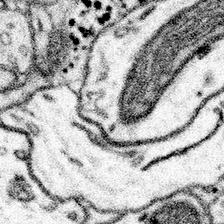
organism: Mouse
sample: Somatosensory cortex neuropil